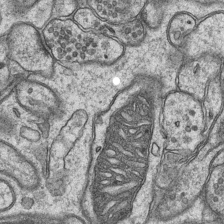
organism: Mouse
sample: CA1 Hippocampus